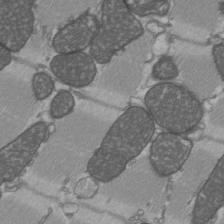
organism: C57BL Mouse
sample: Heart